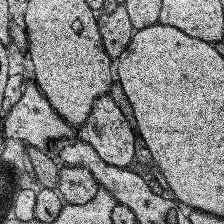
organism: Human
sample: Temporal Lobe